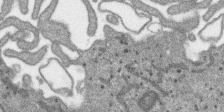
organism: Human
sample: Lung epithelial cells infected with SARS-CoV-2